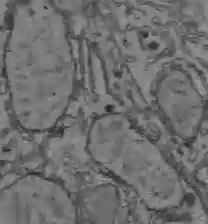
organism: C57BL Mouse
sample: Liver